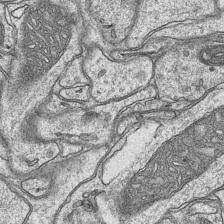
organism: Mouse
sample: CA1 Hippocampus